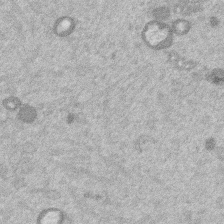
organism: Mouse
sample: Dividing mouse embryo 1 cell stage